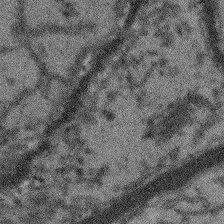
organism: Arabidopsis thaliana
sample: Root tip